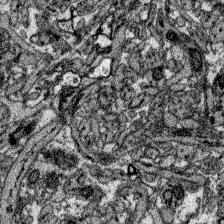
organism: Zebrafish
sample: Larval olfactory bulb